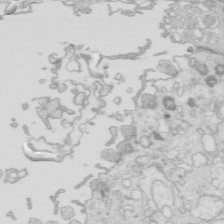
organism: Mouse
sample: Multiciliated cells